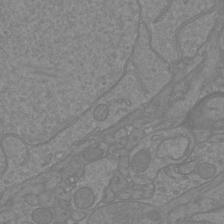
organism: Mouse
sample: Cortical neurons